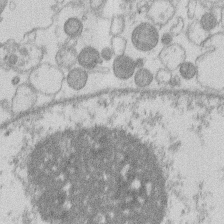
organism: Human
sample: Macrophage cells